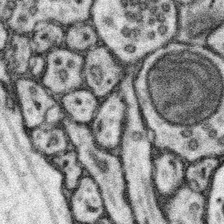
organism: Mouse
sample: Somatosensory cortex neuropil